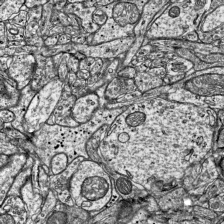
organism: Mouse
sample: Visual Cortex